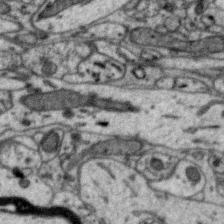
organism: Zebra finch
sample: Brain